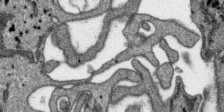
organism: Human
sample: Lung epithelial cells, uninfected (mock) control